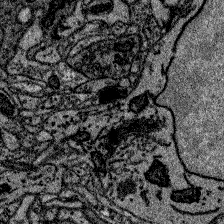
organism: Zebrafish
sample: Larval olfactory bulb